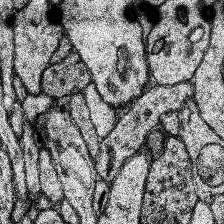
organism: Human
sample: Temporal Lobe